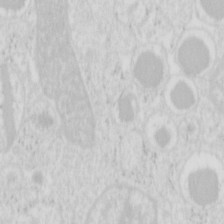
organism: Mouse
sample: Pancreas